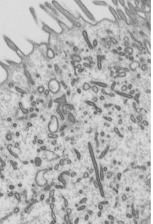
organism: Mouse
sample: Mouse epididymis efferent ductule cilia